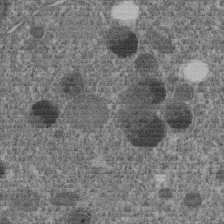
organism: C. elegans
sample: C. elegans embryo early stage